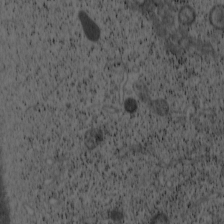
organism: African green monkey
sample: COS-7 cells